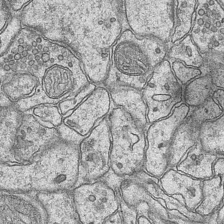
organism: Mouse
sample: CA1 Hippocampus